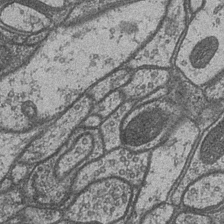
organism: Drosophila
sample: Optic medulla